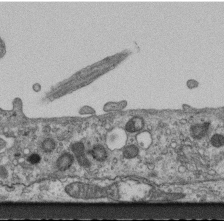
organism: Mouse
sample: Centriole in ependymal cells